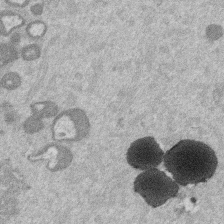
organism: Mouse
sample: Dividing mouse embryo 1 cell stage